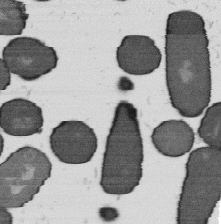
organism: B. subtilis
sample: Bacterial spore